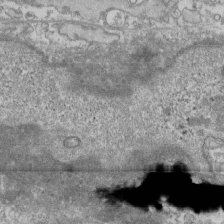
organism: Human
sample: Fibroblast cells